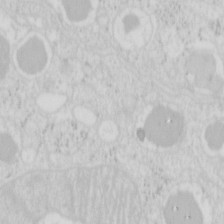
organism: Mouse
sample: Pancreas